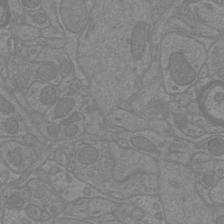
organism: Mouse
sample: Cortical neurons